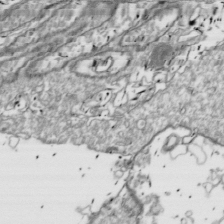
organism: Drosophila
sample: Cell division; meiosis; drosophila spermatocytes